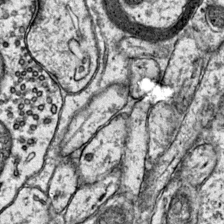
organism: Mouse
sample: Primary visual cortex